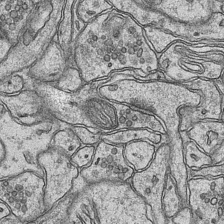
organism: Mouse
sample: CA1 Hippocampus